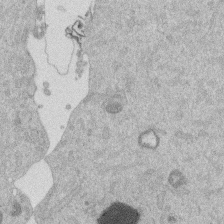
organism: Mouse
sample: Dividing mouse embryo 1 cell stage